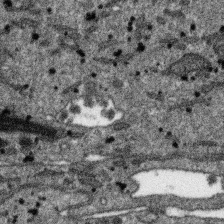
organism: Human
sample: Lung epithelial cells infected with SARS-CoV-2